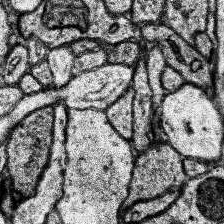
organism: Human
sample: Temporal Lobe